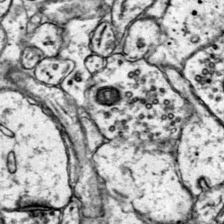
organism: Mouse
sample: Primary visual cortex